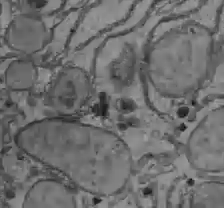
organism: C57BL Mouse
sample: Liver